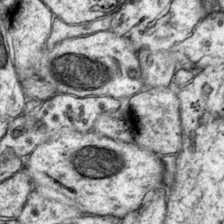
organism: Mouse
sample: Primary visual cortex